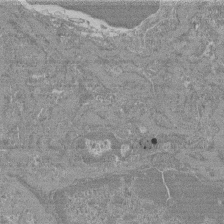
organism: Mouse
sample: Glomerulus